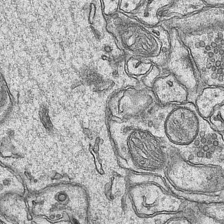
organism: Mouse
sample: CA1 Hippocampus